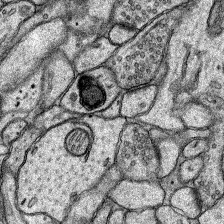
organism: Rat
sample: Hippocampus